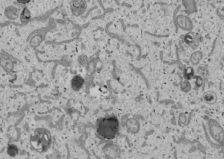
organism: Human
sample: Mitochondria in U2OS cells